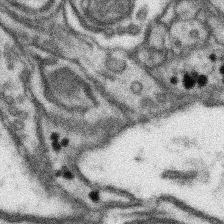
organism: Mouse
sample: Somatosensory cortex neuropil